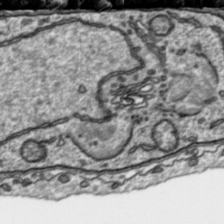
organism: Toxoplasma gondii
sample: Parasites in a vacuole inside a host cell